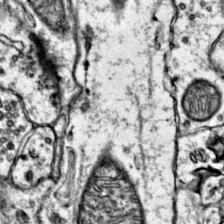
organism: Mouse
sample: Primary visual cortex